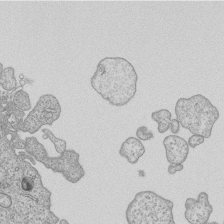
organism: Human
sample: MDA-MB-231 cells